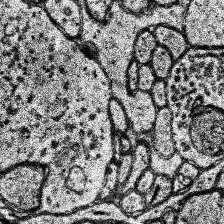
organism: Human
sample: Temporal Lobe